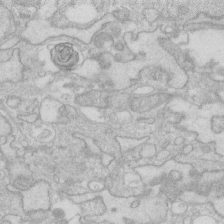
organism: Human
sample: Fibroblast cells